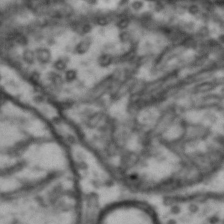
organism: Drosophila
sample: Brain